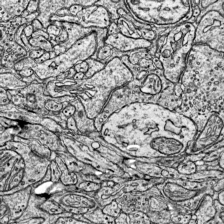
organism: Mouse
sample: Visual Cortex